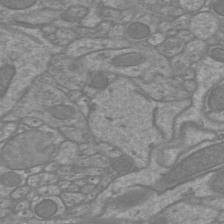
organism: Mouse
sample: Cortical neurons